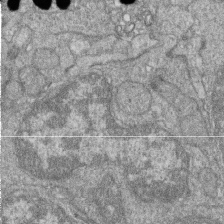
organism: Zebrafish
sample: Cilia; retinal pigment epithelium